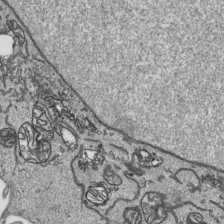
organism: Human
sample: Mitochondria in HCT116 cells